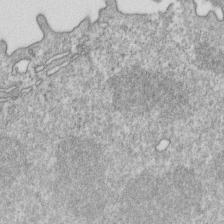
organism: Mouse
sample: Activated OT-1 CD8+ T cells